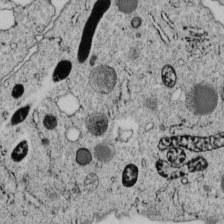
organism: C. elegans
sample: C. elegans embryo early stage